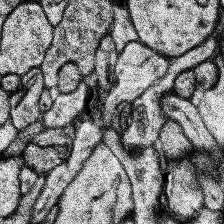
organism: Human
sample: Temporal Lobe